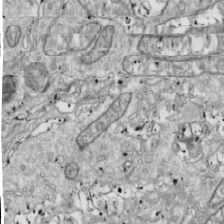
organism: Drosophila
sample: Cell division; meiosis; drosophila spermatocytes